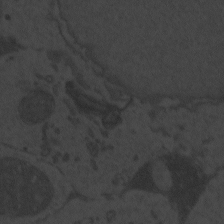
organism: Zebrafish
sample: Macrophage infected with Toxoplasma gondii